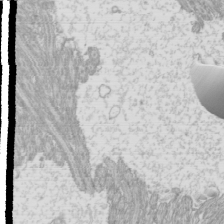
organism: Mouse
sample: Cilia; mouse epididymis